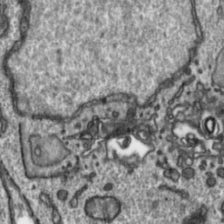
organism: Toxoplasma gondii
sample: Parasites in a vacuole inside a host cell